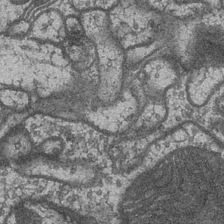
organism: Drosophila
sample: Optic medulla